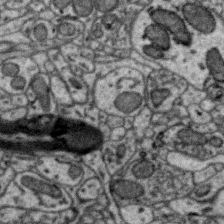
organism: Zebra finch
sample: Brain